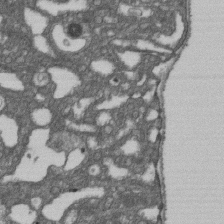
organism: Drosophila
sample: Nephrocyte